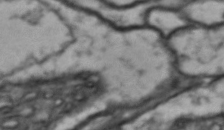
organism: Drosophila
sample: Brain